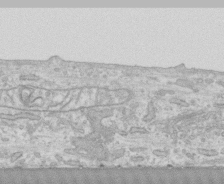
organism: Human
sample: CRL-1474